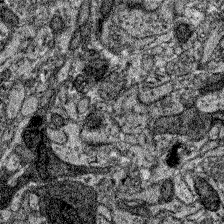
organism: Zebrafish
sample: Larval olfactory bulb